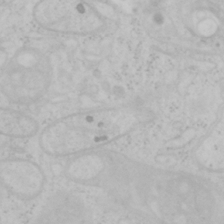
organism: Mouse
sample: OT-I killer T cells with ID8 ovarian cancer cells